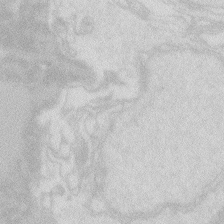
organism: Zebrafish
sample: Macrophage